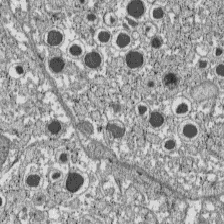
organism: C57BL Mouse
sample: Pancreatic islet